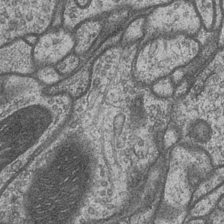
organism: Drosophila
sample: Optic medulla